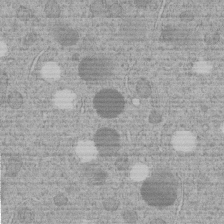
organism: C. elegans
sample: C. elegans embryo early stage